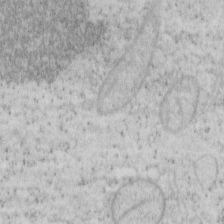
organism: Human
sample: HeLa cells